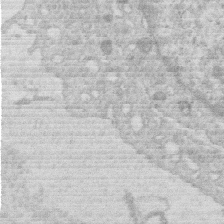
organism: Human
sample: Macrophage cells